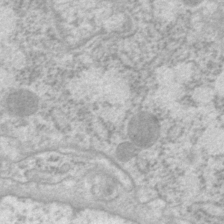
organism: P. pacificus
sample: Pharynx